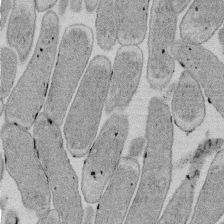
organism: E. coli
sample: Bacterial nucleoid